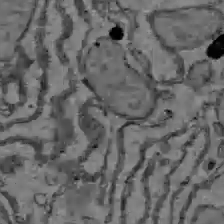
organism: C57BL Mouse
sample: Liver